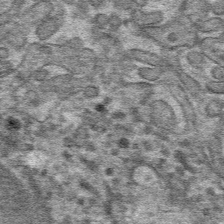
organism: Mouse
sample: Mouse hepatocytes